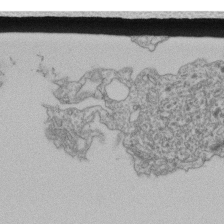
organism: Human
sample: Retinal organoid Rod and Cone cells